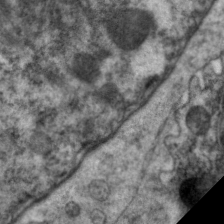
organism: C. elegans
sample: Pharynx